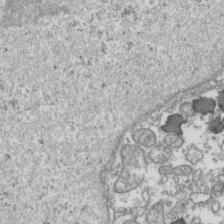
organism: Human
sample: Activated Jurkat CD4+ T cells